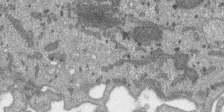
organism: Human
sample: Lung epithelial cells infected with SARS-CoV-2